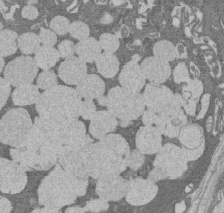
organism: Rat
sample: Salivary granule